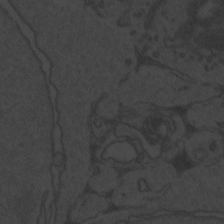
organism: Zebrafish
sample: Macrophage infected with Toxoplasma gondii